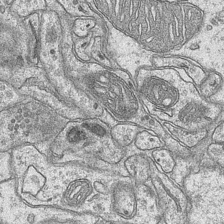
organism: Mouse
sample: CA1 Hippocampus